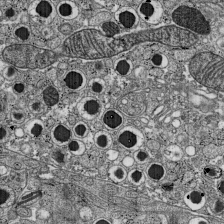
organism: C57BL Mouse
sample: Pancreatic islet